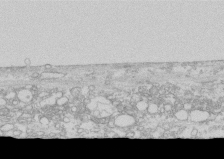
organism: Human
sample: CRL-1474